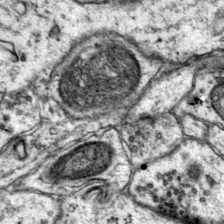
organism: Mouse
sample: Primary visual cortex